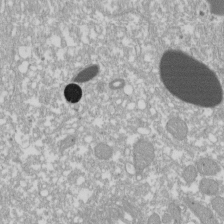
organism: Xenopus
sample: Cilia; centrioles in frog embryo cells